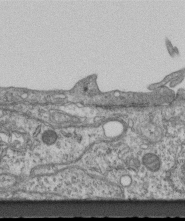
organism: Mouse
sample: Centriole in ependymal cells